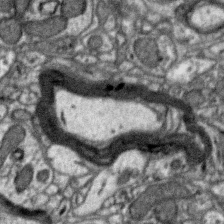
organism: Zebra finch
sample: Brain